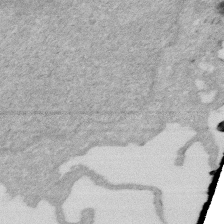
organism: Human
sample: HIV infected U937 cells